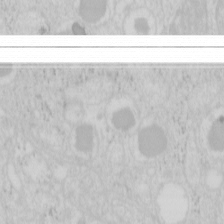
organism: Mouse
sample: Pancreas